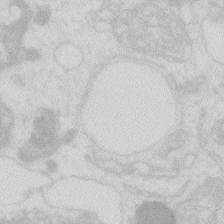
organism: Zebrafish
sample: Macrophage